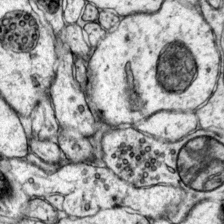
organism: Mouse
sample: Primary visual cortex